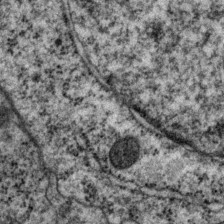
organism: P. pacificus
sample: Pharynx